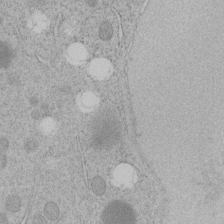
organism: C. elegans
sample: C. elegans embryo early stage